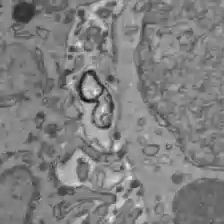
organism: C57BL Mouse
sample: Liver